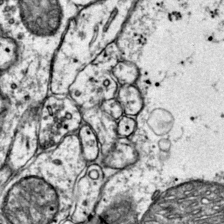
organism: Mouse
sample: Primary visual cortex